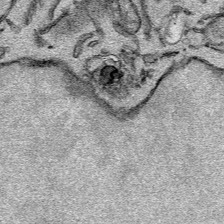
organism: Mouse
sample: Cancer cell death in ED-1 cells